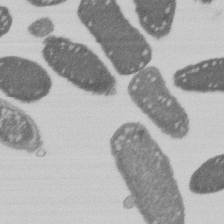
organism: E. coli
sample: Bacterial nucleoid